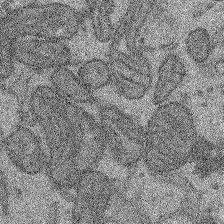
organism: Human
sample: HeLa cells